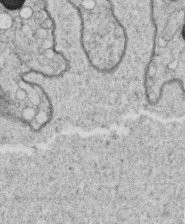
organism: C. elegans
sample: C. elegans oocyte; sperm cells